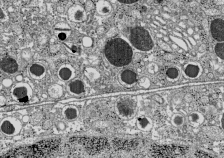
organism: C57BL Mouse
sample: Pancreatic islet